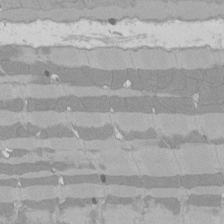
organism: Rat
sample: Left ventricle